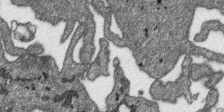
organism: Human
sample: Lung epithelial cells infected with SARS-CoV-2